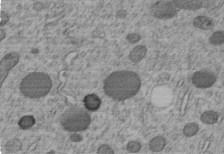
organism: C. elegans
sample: C. elegans embryo early stage